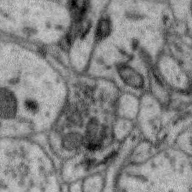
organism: Zebra finch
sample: Brain